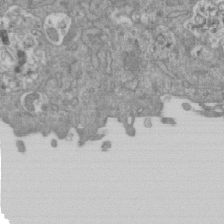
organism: Mouse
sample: ED-1 cell nuclei; centrioles